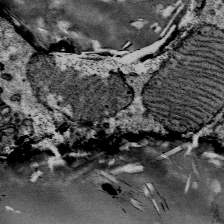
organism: Mouse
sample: Mouse Salivary gland